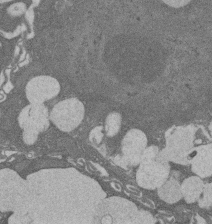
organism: Rat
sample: Salivary granule